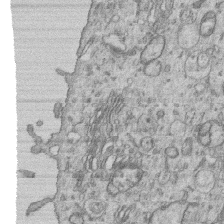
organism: Human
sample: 1205lu cells